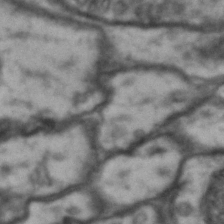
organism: Drosophila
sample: Brain